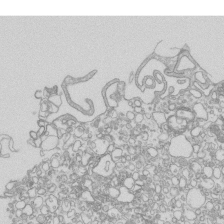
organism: Mouse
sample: Macrophages